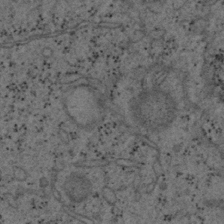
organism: Human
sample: HeLa cells